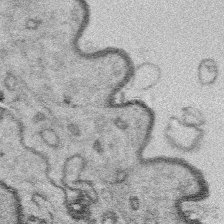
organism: Platynereis dumerilii